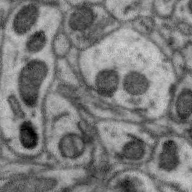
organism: Zebra finch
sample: Brain